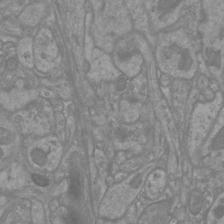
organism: Mouse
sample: Cortical neurons